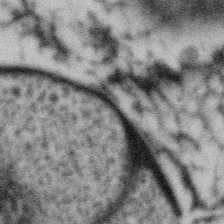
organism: Gemmata obscuriglobus